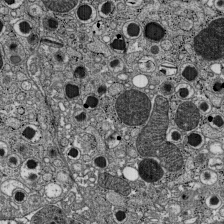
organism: C57BL Mouse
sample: Pancreatic islet